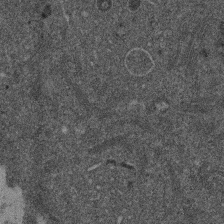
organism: Mouse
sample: Dividing mouse embryo 1 cell stage